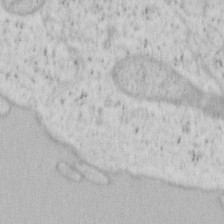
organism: Human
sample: HeLa cells